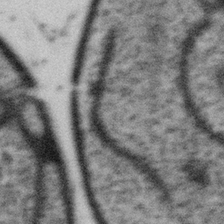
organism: Gemmata obscuriglobus